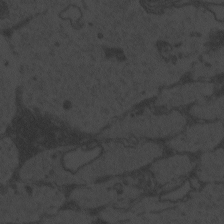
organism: Zebrafish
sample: Macrophage infected with Toxoplasma gondii